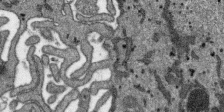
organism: Human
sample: Lung epithelial cells, uninfected (mock) control